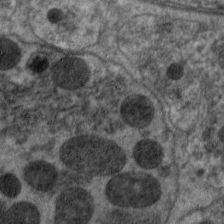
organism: C. elegans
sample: Pharynx